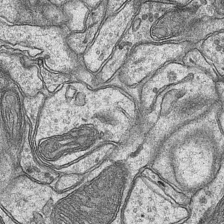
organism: Mouse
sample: CA1 Hippocampus